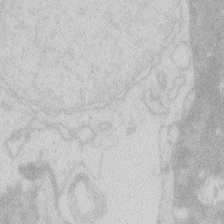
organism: Zebrafish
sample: Macrophage